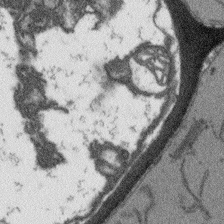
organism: Arabidopsis thaliana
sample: Root tip